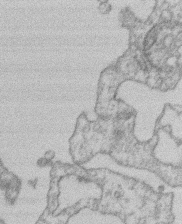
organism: Mouse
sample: T cell stromal cell synapse